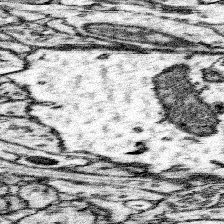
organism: Mouse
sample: Somatosensory cortex neuropil